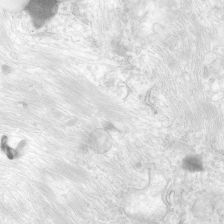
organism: Human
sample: Neocortex